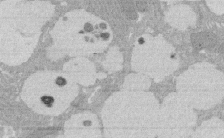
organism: Rat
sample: Salivary granule